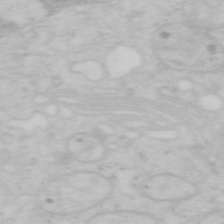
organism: Mouse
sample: OT-I killer T cells with ID8 ovarian cancer cells